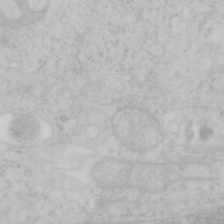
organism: Mouse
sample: OT-I killer T cells with ID8 ovarian cancer cells